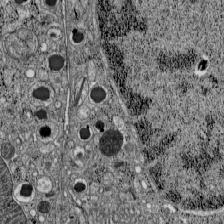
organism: C57BL Mouse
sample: Pancreatic islet